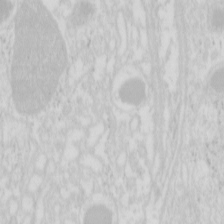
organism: Mouse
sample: Pancreas